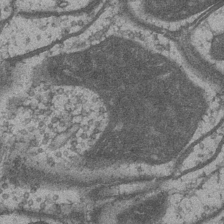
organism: Drosophila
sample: Optic medulla